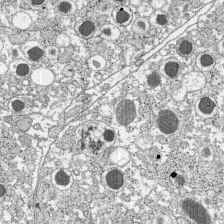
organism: C57BL Mouse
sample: Pancreatic islet